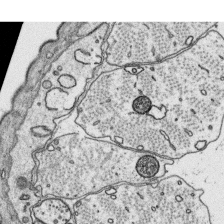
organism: Platynereis dumerilii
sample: Parapodia